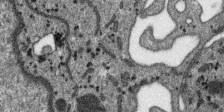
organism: Human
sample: Lung epithelial cells infected with SARS-CoV-2